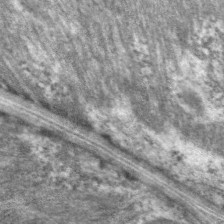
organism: C. elegans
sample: Pharynx